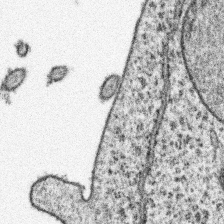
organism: Human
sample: HeLa cells